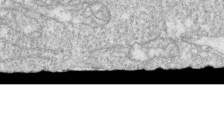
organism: Human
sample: HeLa cell HIV synapse